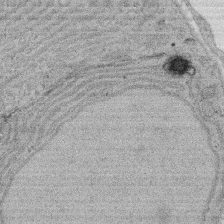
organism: Rat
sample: Salivary granule